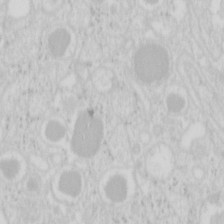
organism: Mouse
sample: Pancreas